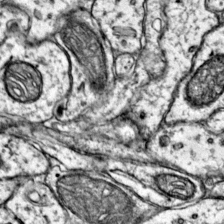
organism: Mouse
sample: Primary visual cortex